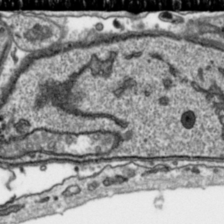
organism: Toxoplasma gondii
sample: Parasites in a vacuole inside a host cell